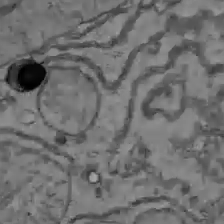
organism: C57BL Mouse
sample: Liver